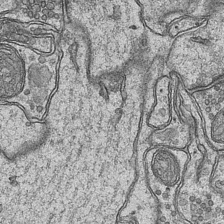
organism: Mouse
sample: CA1 Hippocampus